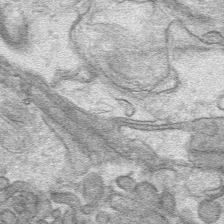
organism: Mouse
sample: Mouse hepatocytes